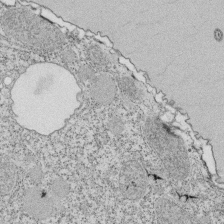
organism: Tetrahymena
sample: Cilia in tetrahymena